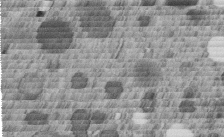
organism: C. elegans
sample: C. elegans embryo early stage